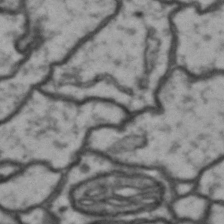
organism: Drosophila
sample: Brain